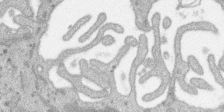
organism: Human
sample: Lung epithelial cells infected with SARS-CoV-2